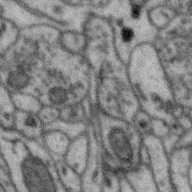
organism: Zebra finch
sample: Brain